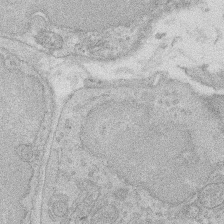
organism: Rat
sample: Salivary granule